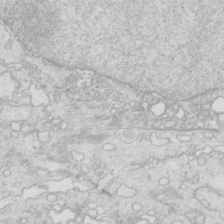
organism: Mouse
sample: Multiciliated cells